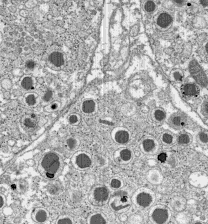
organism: C57BL Mouse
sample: Pancreatic islet